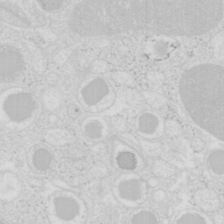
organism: Mouse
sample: Pancreas